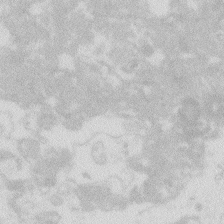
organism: Zebrafish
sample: Macrophage